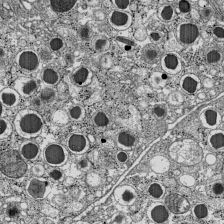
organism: C57BL Mouse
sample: Pancreatic islet